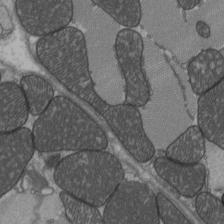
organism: C57BL Mouse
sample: Heart